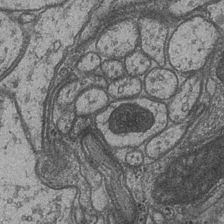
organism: Drosophila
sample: Optic medulla